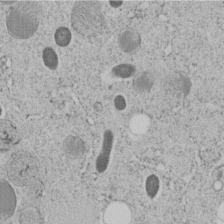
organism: C. elegans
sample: C. elegans embryo early stage